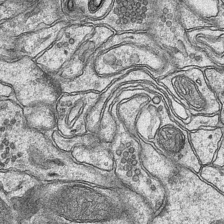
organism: Mouse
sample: CA1 Hippocampus